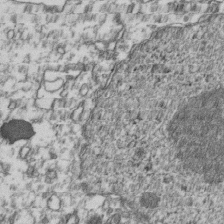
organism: Human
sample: Activated Jurkat CD4+ T cells